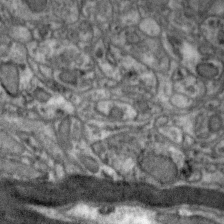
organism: Zebra finch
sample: Brain